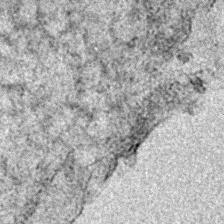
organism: E. coli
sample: E. Coli Bacteria